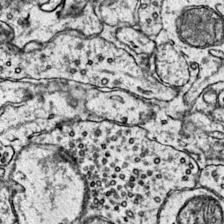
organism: Mouse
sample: Primary visual cortex